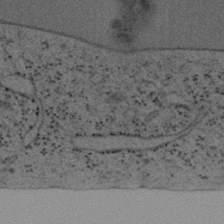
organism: Human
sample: HeLa cells